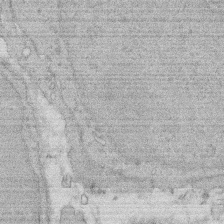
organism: Rat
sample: Salivary granule